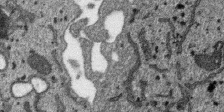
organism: Human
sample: Lung epithelial cells infected with SARS-CoV-2